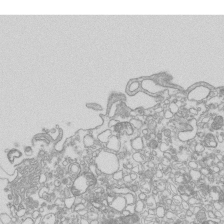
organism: Mouse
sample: Macrophages